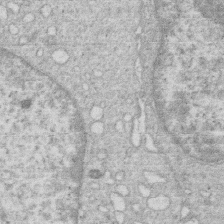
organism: Human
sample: Macrophage cells